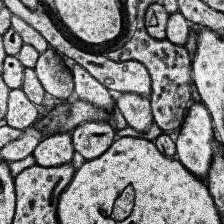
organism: Human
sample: Temporal Lobe